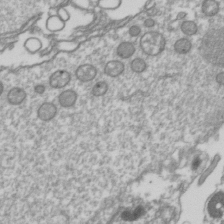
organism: Drosophila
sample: Cell division; meiosis; drosophila spermatocytes